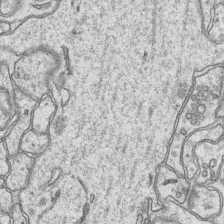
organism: Mouse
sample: CA1 Hippocampus